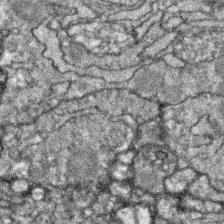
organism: Zebrafish